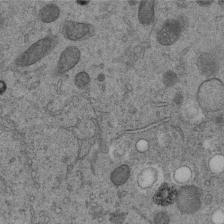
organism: C. elegans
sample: C. elegans embryo early stage